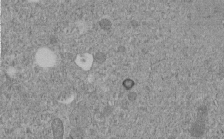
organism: C. elegans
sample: C. elegans embryo early stage